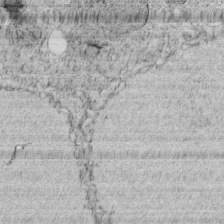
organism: C. elegans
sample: C. elegans embryo early stage